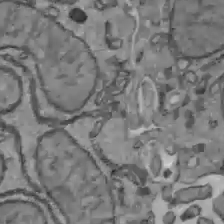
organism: C57BL Mouse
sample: Liver